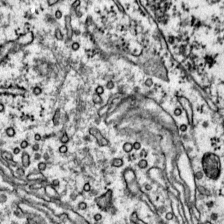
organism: Mouse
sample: Primary visual cortex